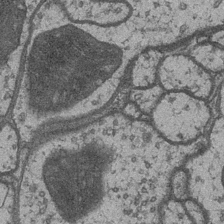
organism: Drosophila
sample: Optic medulla